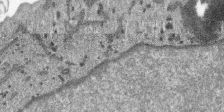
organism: Human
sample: Lung epithelial cells infected with SARS-CoV-2